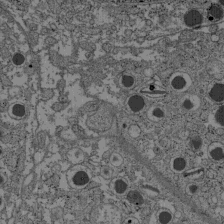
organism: C57BL Mouse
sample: Pancreatic islet